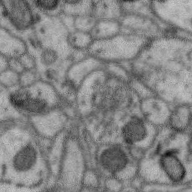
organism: Zebra finch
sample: Brain